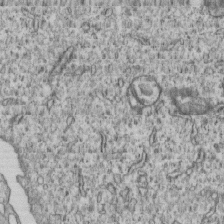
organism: Human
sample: MDA-MB-231 cells